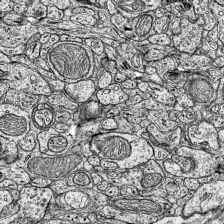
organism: Mouse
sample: Visual Cortex